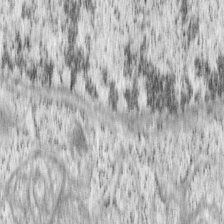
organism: Human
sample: HeLa cells